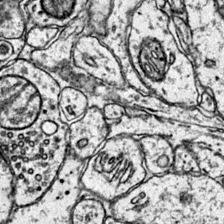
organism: Mouse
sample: Primary visual cortex